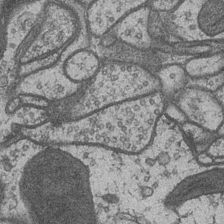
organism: Drosophila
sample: Optic medulla